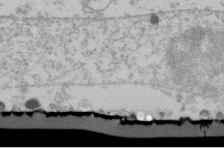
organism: Human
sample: U2-OS cells